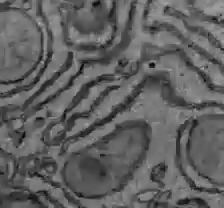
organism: C57BL Mouse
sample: Liver